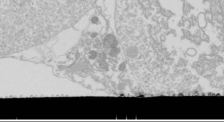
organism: Drosophila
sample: Cell division; meiosis; drosophila spermatocytes